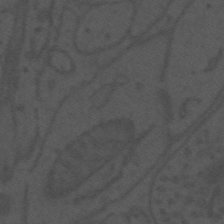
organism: Mouse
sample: Suprachiasmatic nucleus